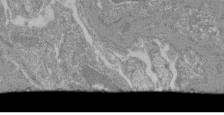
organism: Mouse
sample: Glomerulus